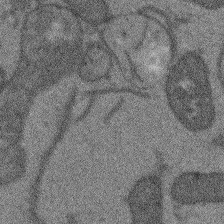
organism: Arabidopsis thaliana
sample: Root tip